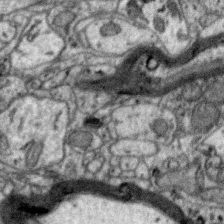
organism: Zebra finch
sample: Brain